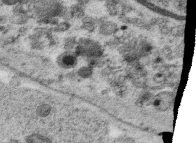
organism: C. elegans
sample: C. elegans oocyte; sperm cells